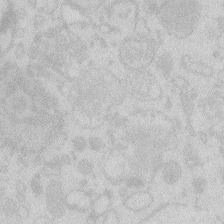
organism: Zebrafish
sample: Macrophage